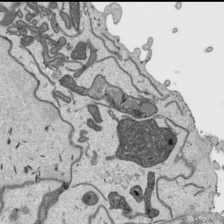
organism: Human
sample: Mitochondria in HCT116 cells